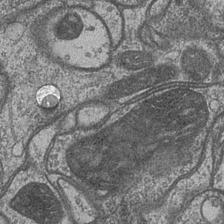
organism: Drosophila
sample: Optic medulla